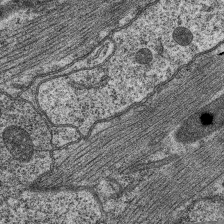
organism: C. elegans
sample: Pharynx